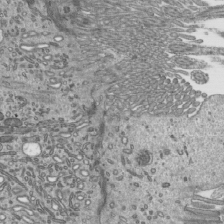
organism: Mouse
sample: Mouse epididymis efferent ductule cilia